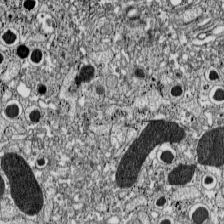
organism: C57BL Mouse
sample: Pancreatic islet